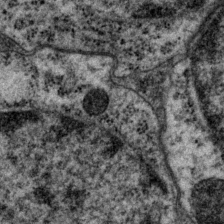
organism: P. pacificus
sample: Pharynx